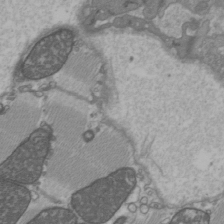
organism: C57BL Mouse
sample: Heart